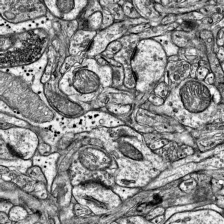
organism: Mouse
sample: Visual Cortex